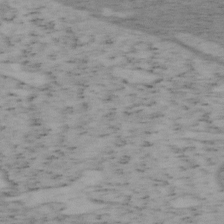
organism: Mouse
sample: OT-I killer T cells with ID8 ovarian cancer cells